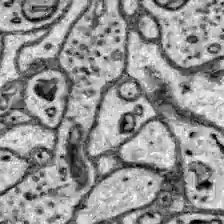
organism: Zebrafish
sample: Brain